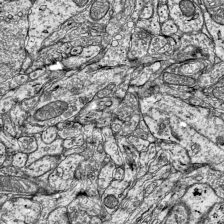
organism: Mouse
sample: Visual Cortex